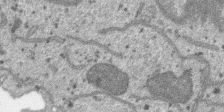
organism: Human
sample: Lung epithelial cells infected with SARS-CoV-2